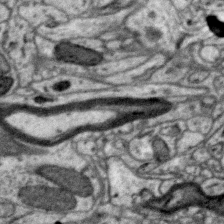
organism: Zebra finch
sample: Brain